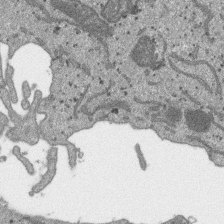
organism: Human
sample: Lung epithelial cells infected with SARS-CoV-2